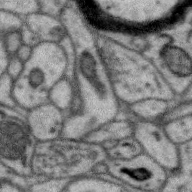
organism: Zebra finch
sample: Brain